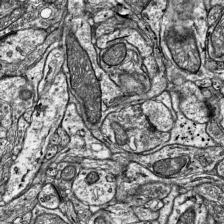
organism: Mouse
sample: Visual Cortex